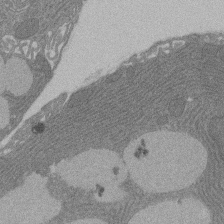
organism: Rat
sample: Salivary granule